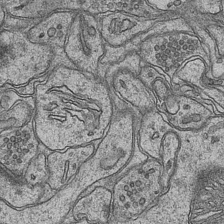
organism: Mouse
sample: CA1 Hippocampus